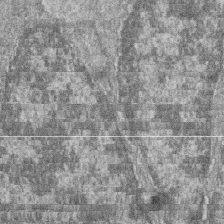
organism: Zebrafish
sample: Cilia; retinal pigment epithelium